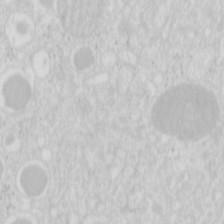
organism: Mouse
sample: Pancreas